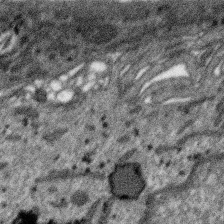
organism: Human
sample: Lung epithelial cells infected with SARS-CoV-2